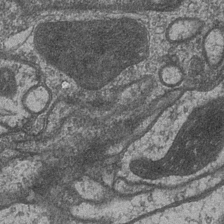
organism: Drosophila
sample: Optic medulla